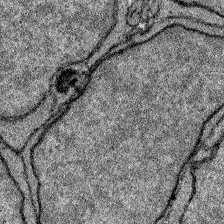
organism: Zebrafish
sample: Larval olfactory bulb